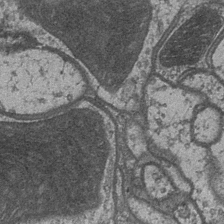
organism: Drosophila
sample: Optic medulla